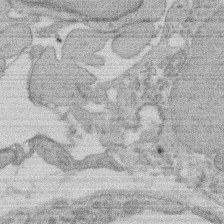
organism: Rat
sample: Salivary granule